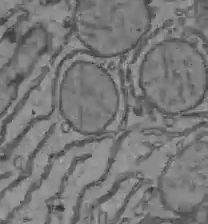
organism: C57BL Mouse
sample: Liver